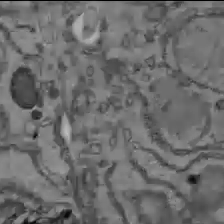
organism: C57BL Mouse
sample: Liver